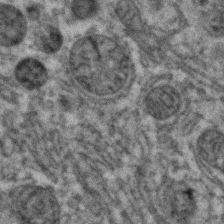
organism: Zebrafish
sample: Zebrafish embryo